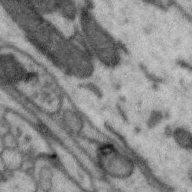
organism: Zebra finch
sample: Brain